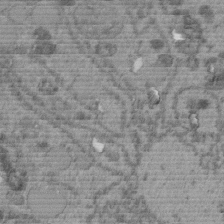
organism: C. elegans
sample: C. elegans embryo early stage